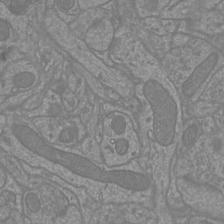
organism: Mouse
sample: Cortical neurons